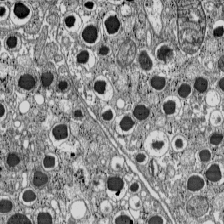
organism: C57BL Mouse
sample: Pancreatic islet